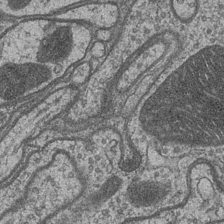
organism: Drosophila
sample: Optic medulla